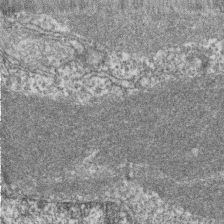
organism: Zebrafish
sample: Cilia; retinal pigment epithelium